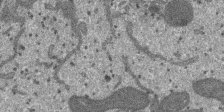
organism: Human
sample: Lung epithelial cells infected with SARS-CoV-2